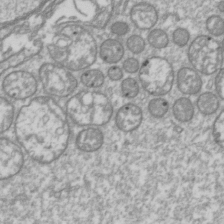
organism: Drosophila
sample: Cell division; meiosis; drosophila spermatocytes